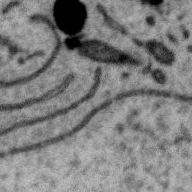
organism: Zebra finch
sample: Brain